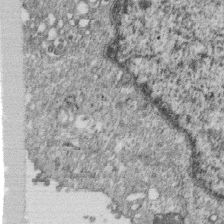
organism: African green monkey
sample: Vero E6 cells infected with SARS-CoV-2